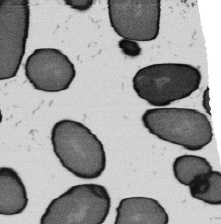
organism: B. subtilis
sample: Bacterial spore